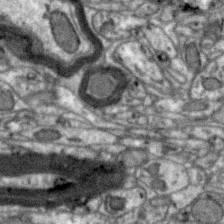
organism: Zebra finch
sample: Brain